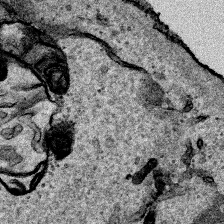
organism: Human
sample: Mitochondria in HCT116 cells